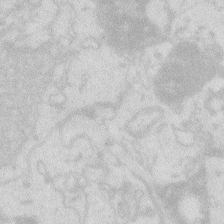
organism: Zebrafish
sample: Macrophage